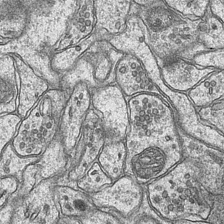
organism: Mouse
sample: CA1 Hippocampus